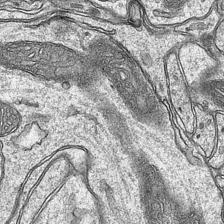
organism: Mouse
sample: CA1 Hippocampus